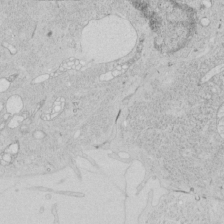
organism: Human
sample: Mitochondria in HCT116 cells